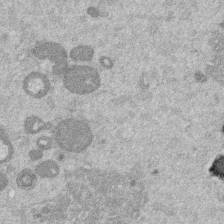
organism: Mouse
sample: Dividing mouse embryo 1 cell stage